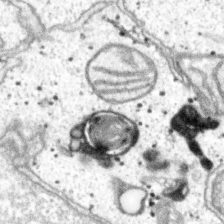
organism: Human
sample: HeLa cells